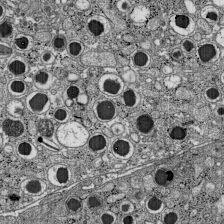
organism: C57BL Mouse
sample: Pancreatic islet